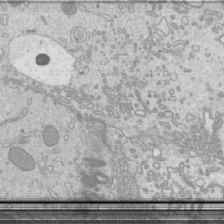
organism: Mouse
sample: Cilia; mouse epididymis